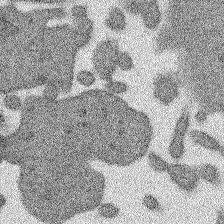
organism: Human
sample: HeLa cells